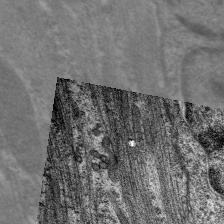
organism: C. elegans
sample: Pharynx